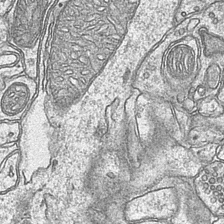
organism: Mouse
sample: CA1 Hippocampus